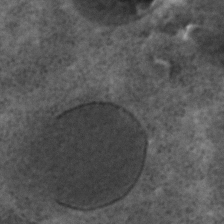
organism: C. elegans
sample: C. elegans embryo